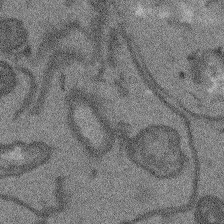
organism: Arabidopsis thaliana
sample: Root tip